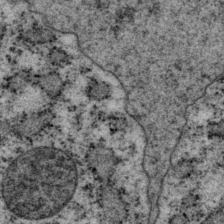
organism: P. pacificus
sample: Pharynx